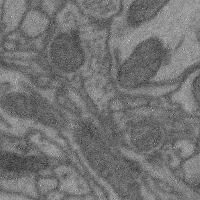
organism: Mouse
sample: Cerebral cortex